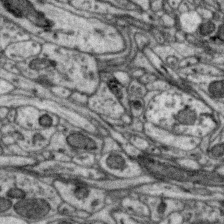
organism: Zebra finch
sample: Brain